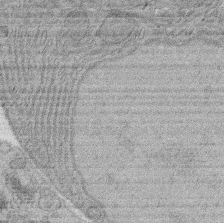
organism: Rat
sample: Salivary granule